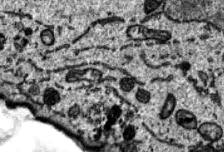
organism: Human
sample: HeLa cells